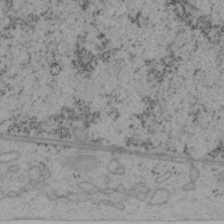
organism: Human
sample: HeLa cells